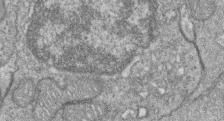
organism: Zebrafish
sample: Cilia; retinal pigment epithelium